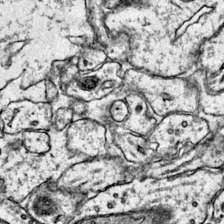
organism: Mouse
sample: Primary visual cortex